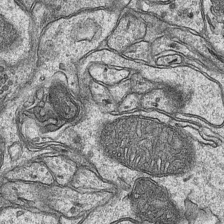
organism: Mouse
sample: CA1 Hippocampus